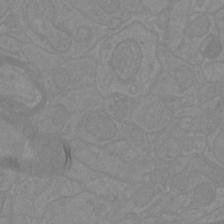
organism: Mouse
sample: Cortical neurons